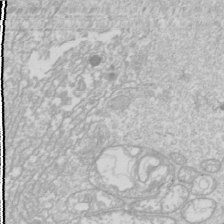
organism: Drosophila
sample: Cell division; meiosis; drosophila spermatocytes